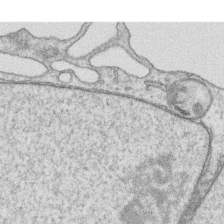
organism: Human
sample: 1205lu cells